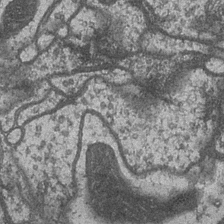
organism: Drosophila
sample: Optic medulla